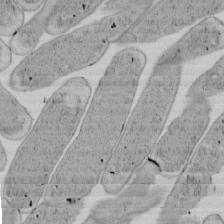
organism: E. coli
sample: Bacterial nucleoid